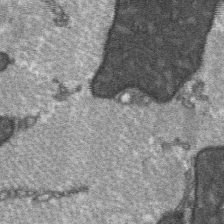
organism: C57BL Mouse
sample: Soleus